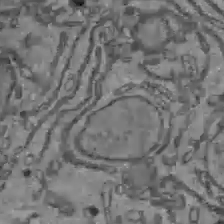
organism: C57BL Mouse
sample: Liver